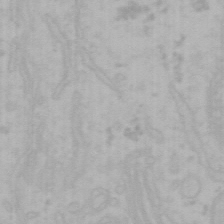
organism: Mouse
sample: Choroid plexus